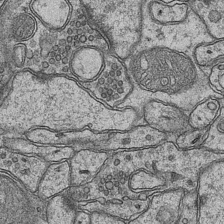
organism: Mouse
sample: CA1 Hippocampus